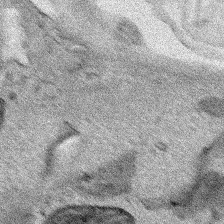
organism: Human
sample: Mitochondria in HCT116 cells